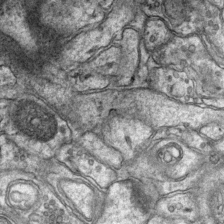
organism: Mouse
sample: CA1 Hippocampus